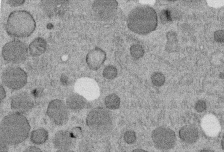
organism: C. elegans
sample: C. elegans embryo early stage